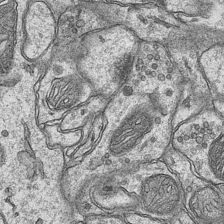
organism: Mouse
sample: CA1 Hippocampus